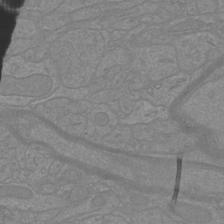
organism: Mouse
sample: Cortical neurons